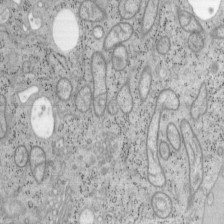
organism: Mouse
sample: OT-I killer T cells with ID8 ovarian cancer cells